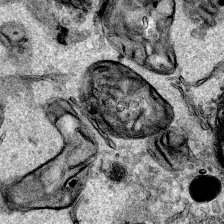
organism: Human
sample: Mitochondria in HCT116 cells